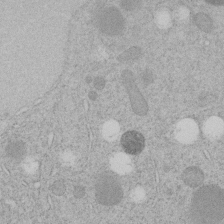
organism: C. elegans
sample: C. elegans embryo early stage